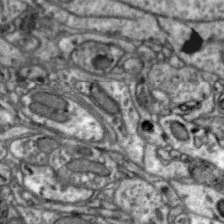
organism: Zebra finch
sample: Brain